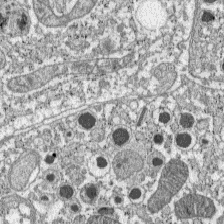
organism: C57BL Mouse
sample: Pancreatic islet